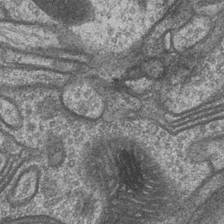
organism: Drosophila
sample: Optic medulla